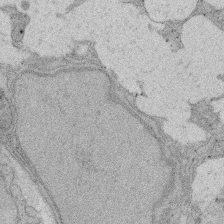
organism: Rat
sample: Salivary granule